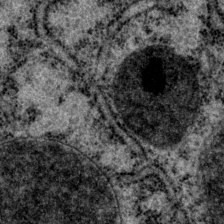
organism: P. pacificus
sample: Pharynx